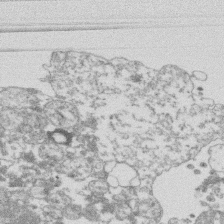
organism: Human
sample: HeLa cell HIV synapse